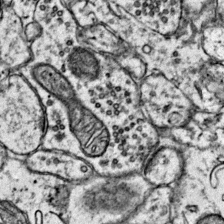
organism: Mouse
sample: Primary visual cortex